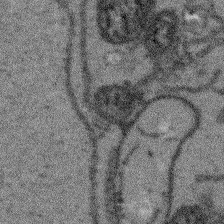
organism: Arabidopsis thaliana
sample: Root tip